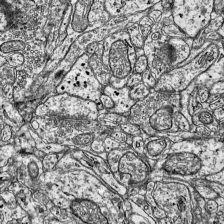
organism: Mouse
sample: Visual Cortex